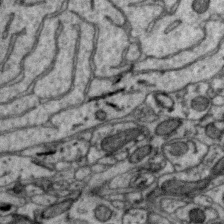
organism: Zebra finch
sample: Brain